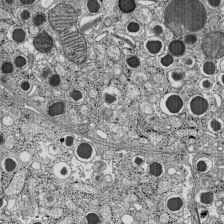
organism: C57BL Mouse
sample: Pancreatic islet